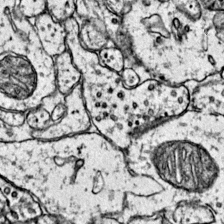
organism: Mouse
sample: Primary visual cortex